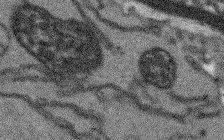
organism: Arabidopsis thaliana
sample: Root tip